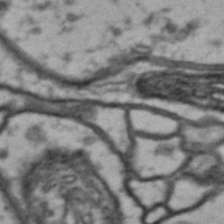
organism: Drosophila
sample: Brain